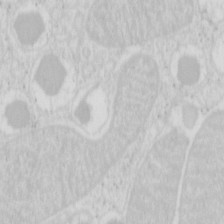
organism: Mouse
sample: Pancreas